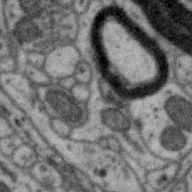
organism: Zebra finch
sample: Brain